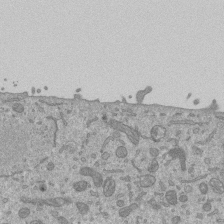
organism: Mouse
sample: ED-1 cell nuclei; centrioles